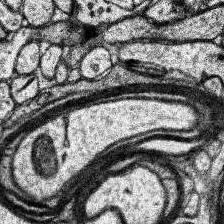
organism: Human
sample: Temporal Lobe